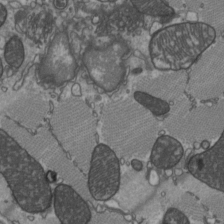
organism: C57BL Mouse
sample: Heart